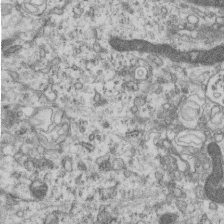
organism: Mouse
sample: Centriole in ependymal cells